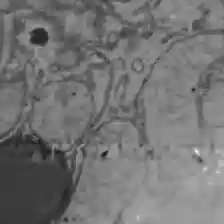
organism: C57BL Mouse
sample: Liver